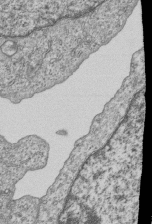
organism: Human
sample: MDA-MB-231 cells